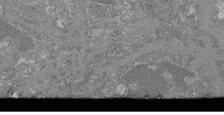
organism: Mouse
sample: Glomerulus